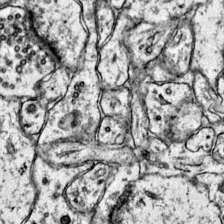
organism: Mouse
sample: Primary visual cortex